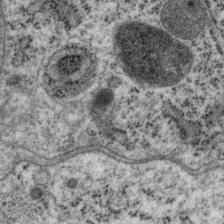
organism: P. pacificus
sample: Pharynx